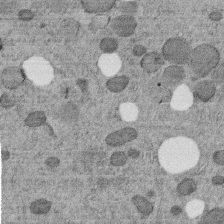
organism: C. elegans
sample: C. elegans embryo early stage